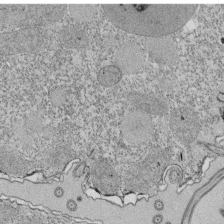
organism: Tetrahymena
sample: Cilia in tetrahymena